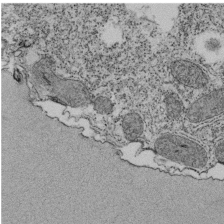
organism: Tetrahymena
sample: Cilia in tetrahymena